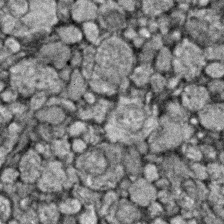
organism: Zebrafish